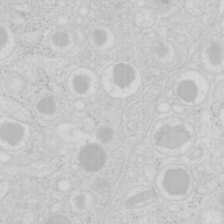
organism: Mouse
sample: Pancreas